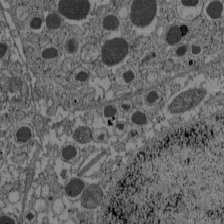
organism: C57BL Mouse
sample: Pancreatic islet